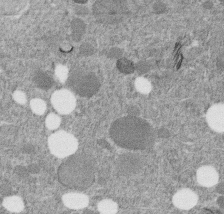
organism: C. elegans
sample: C. elegans embryo early stage